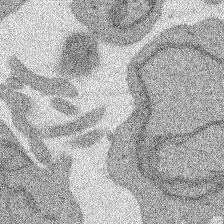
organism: Human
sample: HeLa cells